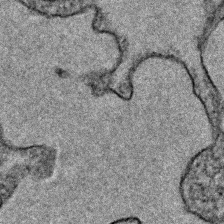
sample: Trachea